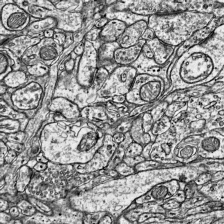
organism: Mouse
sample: Visual Cortex